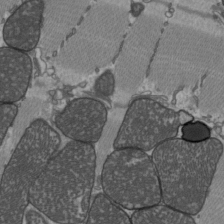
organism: C57BL Mouse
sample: Heart